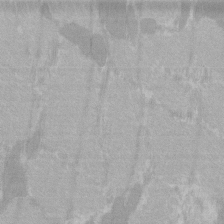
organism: C57BL Mouse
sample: Tibialis anterior muscle cell